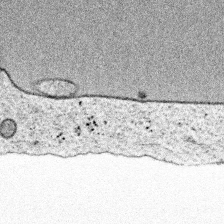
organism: Human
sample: HeLa cells